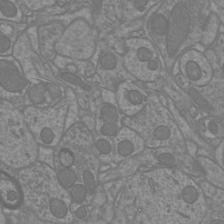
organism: Mouse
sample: Cortical neurons